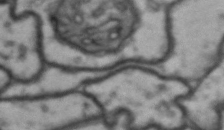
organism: Drosophila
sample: Brain